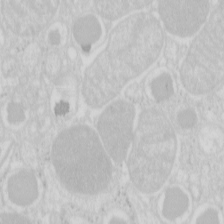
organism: Mouse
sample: Pancreas